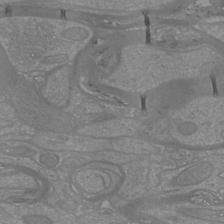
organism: Mouse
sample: Cortical neurons